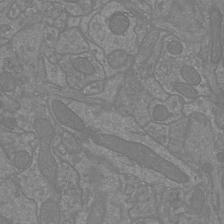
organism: Mouse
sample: Cortical neurons